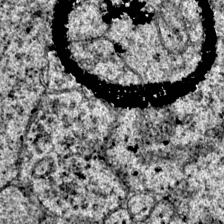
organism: Mouse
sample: Primary visual cortex